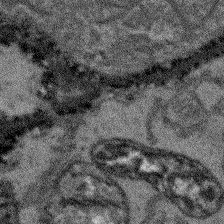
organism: Arabidopsis thaliana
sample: Root tip